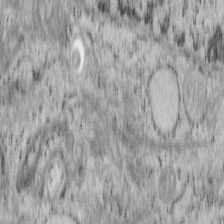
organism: Human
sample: HeLa cells